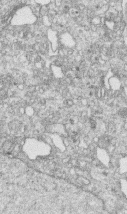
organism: Human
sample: HeLa cell HIV synapse